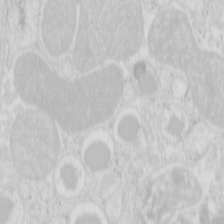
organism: Mouse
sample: Pancreas